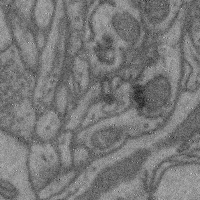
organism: Mouse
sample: Cerebral cortex